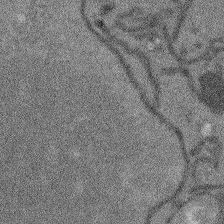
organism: Arabidopsis thaliana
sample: Root tip